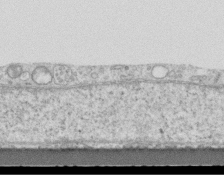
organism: Mouse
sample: Centriole in ependymal cells